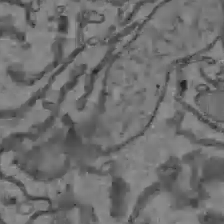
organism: C57BL Mouse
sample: Liver